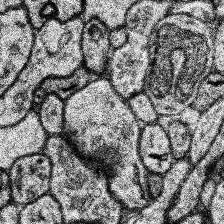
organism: Human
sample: Temporal Lobe